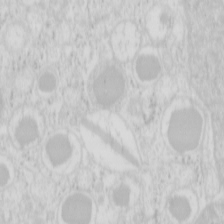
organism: Mouse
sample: Pancreas